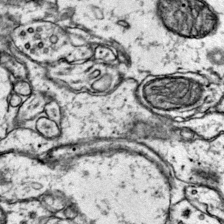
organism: Mouse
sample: Primary visual cortex